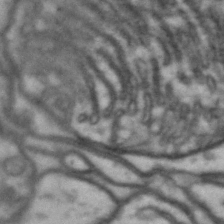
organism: Drosophila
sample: Brain